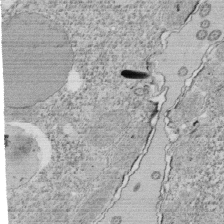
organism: Tetrahymena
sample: Cilia in tetrahymena